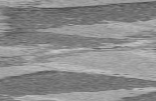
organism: C57BL Mouse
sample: Heart